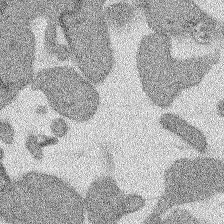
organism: Human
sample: HeLa cells